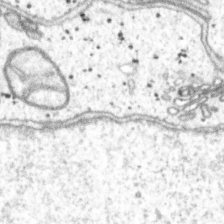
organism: Human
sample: HeLa cells